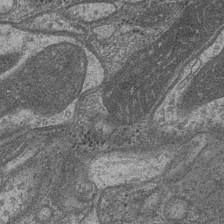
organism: Drosophila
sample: Optic medulla